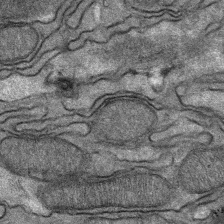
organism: Mouse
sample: Mouse Salivary gland